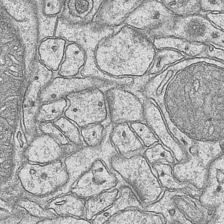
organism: Mouse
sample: CA1 Hippocampus